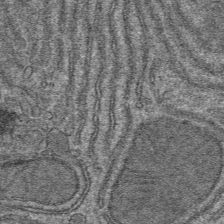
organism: Mouse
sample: Mouse hepatocytes